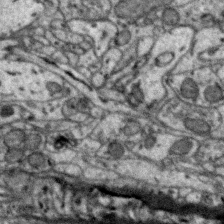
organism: Zebra finch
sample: Brain